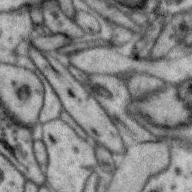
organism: Zebra finch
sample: Brain